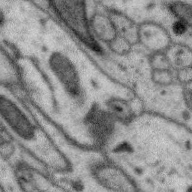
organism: Zebra finch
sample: Brain